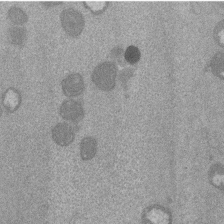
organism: Mouse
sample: Dividing mouse embryo 1 cell stage